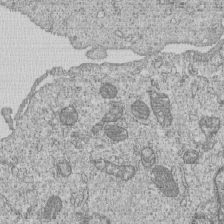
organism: Human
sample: MDA-MB-231 cells